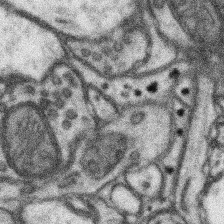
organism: Mouse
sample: Somatosensory cortex neuropil